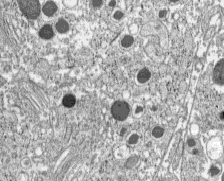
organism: C57BL Mouse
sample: Pancreatic islet